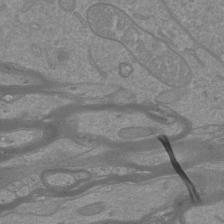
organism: Mouse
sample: Cortical neurons